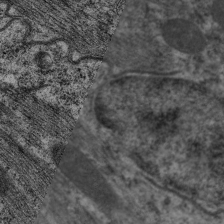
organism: C. elegans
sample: Pharynx